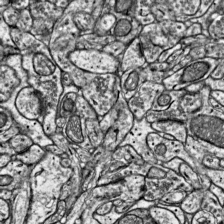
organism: Mouse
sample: Visual Cortex